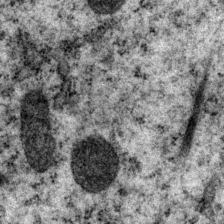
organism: P. pacificus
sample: Pharynx